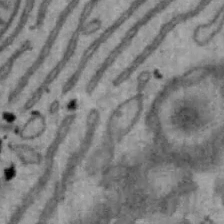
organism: Mouse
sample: Liver